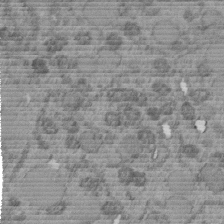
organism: C. elegans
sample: C. elegans embryo early stage